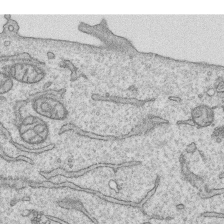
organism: Human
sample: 1205lu cells